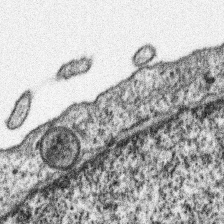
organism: Human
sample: HeLa cells